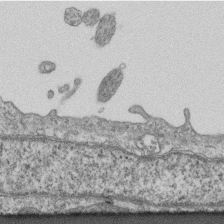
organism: Mouse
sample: Centriole in ependymal cells